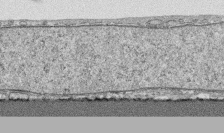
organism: Human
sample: CRL-1474